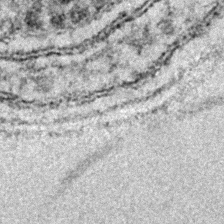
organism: E. coli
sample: E. Coli Bacteria